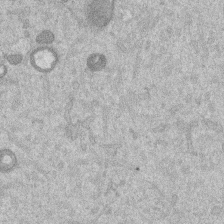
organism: Mouse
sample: Dividing mouse embryo 1 cell stage